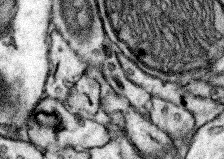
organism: Mouse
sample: Somatosensory cortex neuropil